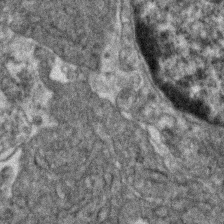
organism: Human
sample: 1205lu cells